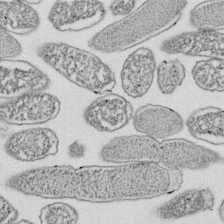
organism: E. coli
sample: Bacterial nucleoid